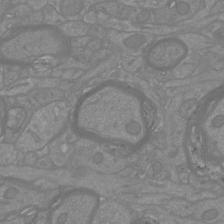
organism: Mouse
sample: Cortical neurons